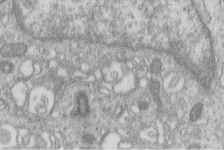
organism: Human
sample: Macrophage cells